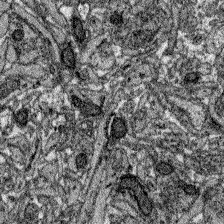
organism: Zebrafish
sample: Larval olfactory bulb